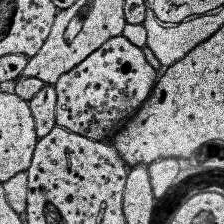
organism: Human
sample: Temporal Lobe